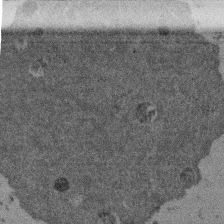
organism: Mouse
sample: Dividing mouse embryo 1 cell stage